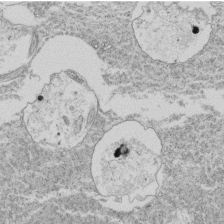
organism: Tetrahymena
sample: Cilia in tetrahymena